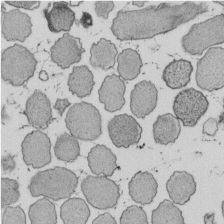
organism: E. coli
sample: Bacterial nucleoid